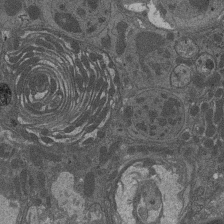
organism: Drosophila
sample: Antenna